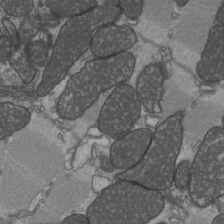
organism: C57BL Mouse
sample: Heart